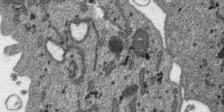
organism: Human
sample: Lung epithelial cells infected with SARS-CoV-2